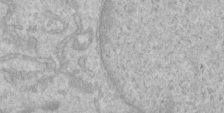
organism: Human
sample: Centriole in RPE cells